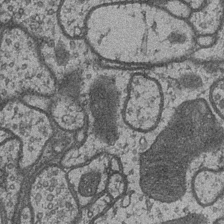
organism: Drosophila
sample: Optic medulla